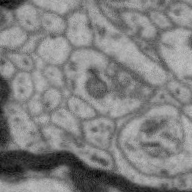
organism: Zebra finch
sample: Brain